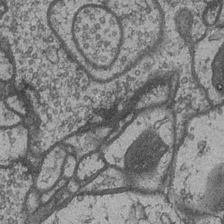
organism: Drosophila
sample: Optic medulla